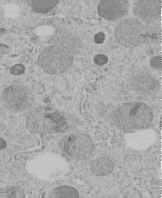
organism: C. elegans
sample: C. elegans embryo early stage